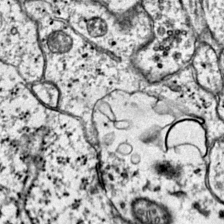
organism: Mouse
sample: Primary visual cortex